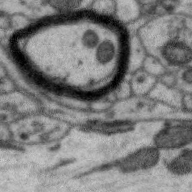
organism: Zebra finch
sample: Brain